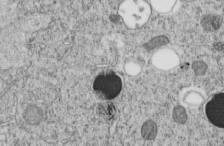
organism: C. elegans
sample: C. elegans embryo early stage